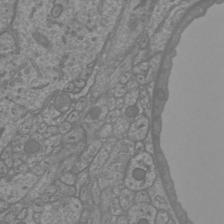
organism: Mouse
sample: Cortical neurons